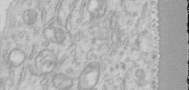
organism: Human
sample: Centriole in RPE cells